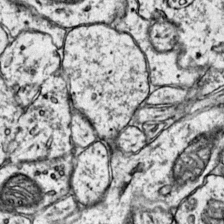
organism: Mouse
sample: Primary visual cortex